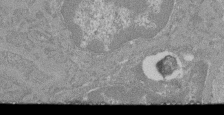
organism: Mouse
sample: Glomerulus